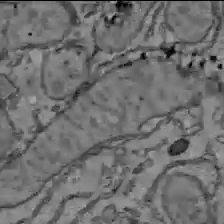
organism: C57BL Mouse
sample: Liver